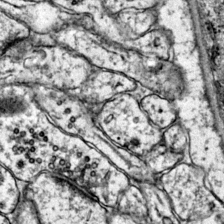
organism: Mouse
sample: Primary visual cortex